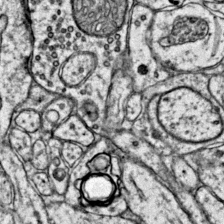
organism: Mouse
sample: Primary visual cortex